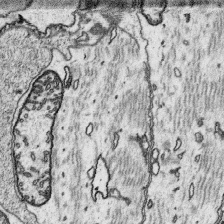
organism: Platynereis dumerilii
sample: Parapodia